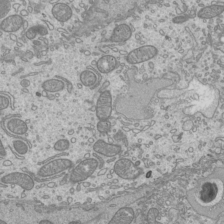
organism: Mouse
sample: Cilia; mouse epididymis